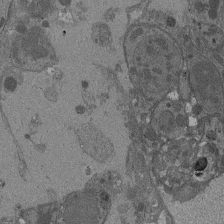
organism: Drosophila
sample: Antenna